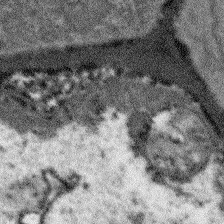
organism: Arabidopsis thaliana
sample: Root tip